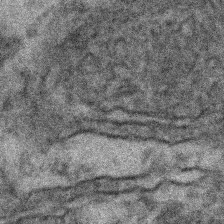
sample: Kidney